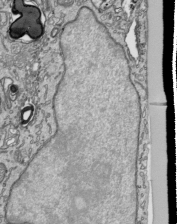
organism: Human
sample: Mitochondria in HCT116 cells